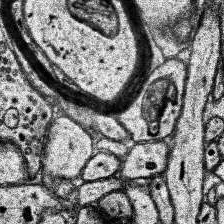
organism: Human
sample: Temporal Lobe